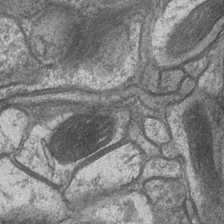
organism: Drosophila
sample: Optic medulla